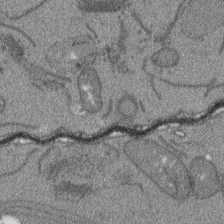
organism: Arabidopsis thaliana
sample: Root tip